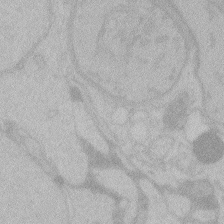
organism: Zebrafish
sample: Macrophage infected with Toxoplasma gondii